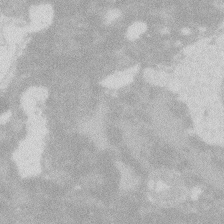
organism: Zebrafish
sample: Macrophage